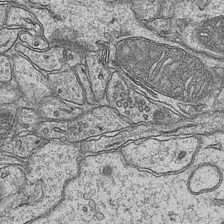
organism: Mouse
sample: CA1 Hippocampus